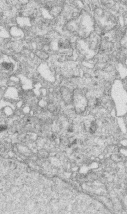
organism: Human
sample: HeLa cell HIV synapse